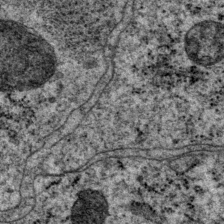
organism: P. pacificus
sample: Pharynx